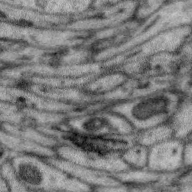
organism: Zebra finch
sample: Brain